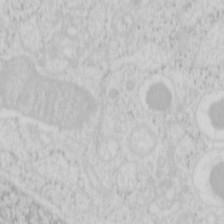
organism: Mouse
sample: Pancreas